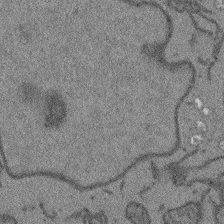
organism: Arabidopsis thaliana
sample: Root tip